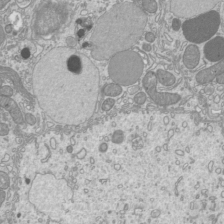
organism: Mouse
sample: Cilia; mouse epididymis